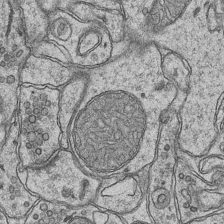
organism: Mouse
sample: CA1 Hippocampus